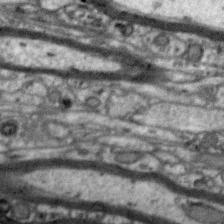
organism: Zebra finch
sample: Brain